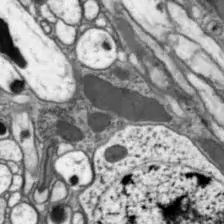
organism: Drosophila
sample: Optic lobe